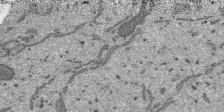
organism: Human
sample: Lung epithelial cells infected with SARS-CoV-2